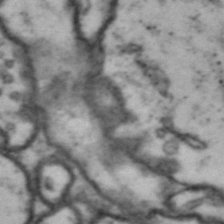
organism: Drosophila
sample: Brain